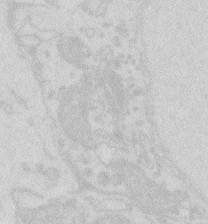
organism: Zebrafish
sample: Macrophage